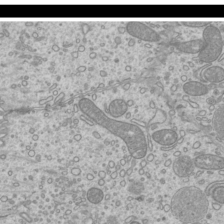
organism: Mouse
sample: Cilia; mouse epididymis